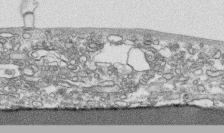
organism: Human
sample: CRL-1474